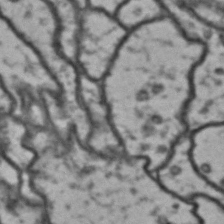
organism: Drosophila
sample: Brain